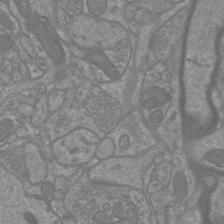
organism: Mouse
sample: Cortical neurons